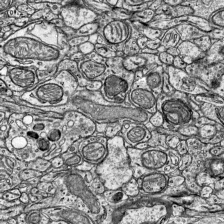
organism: Mouse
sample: Visual Cortex